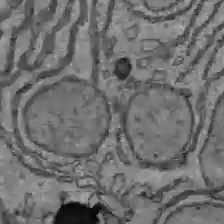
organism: C57BL Mouse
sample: Liver